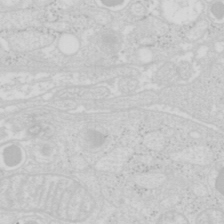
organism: Mouse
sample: Pancreas